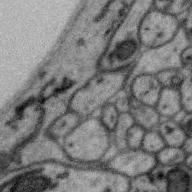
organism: Zebra finch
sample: Brain